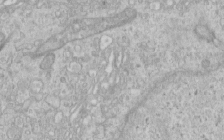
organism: Human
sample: Centriole in RPE cells